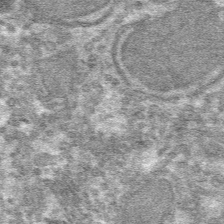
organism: Mouse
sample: Mouse hepatocytes